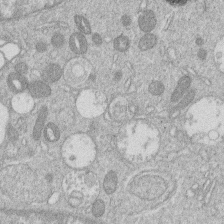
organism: Human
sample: Macrophage cells